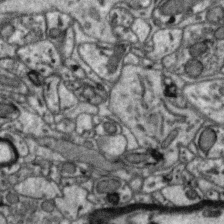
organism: Zebra finch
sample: Brain